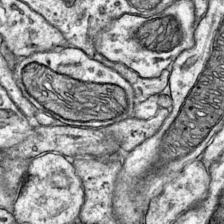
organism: Mouse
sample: Primary visual cortex